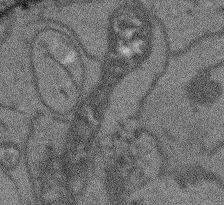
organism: Arabidopsis thaliana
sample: Root tip